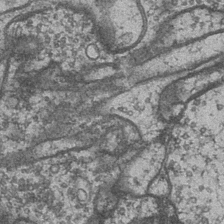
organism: Drosophila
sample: Optic medulla